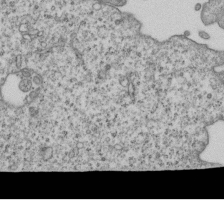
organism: Human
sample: MDA-MB-231 cells